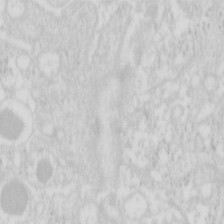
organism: Mouse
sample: Pancreas